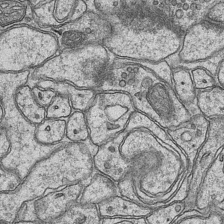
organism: Mouse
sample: CA1 Hippocampus